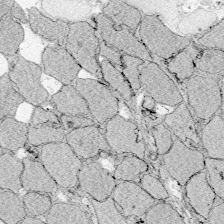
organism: Zebrafish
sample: Whole-Brain